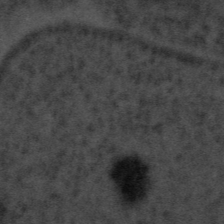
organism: Tuwongella immobilis